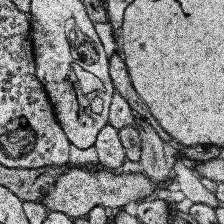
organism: Human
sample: Temporal Lobe